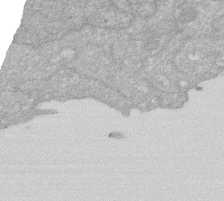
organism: Human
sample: HIV infected U937 cells